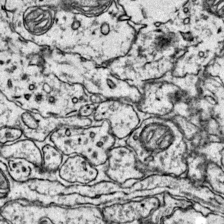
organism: Mouse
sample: Primary visual cortex